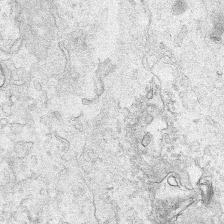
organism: Human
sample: Mitochondria in HCT116 cells